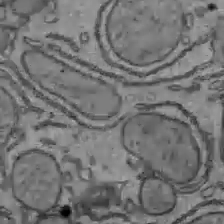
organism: C57BL Mouse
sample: Liver